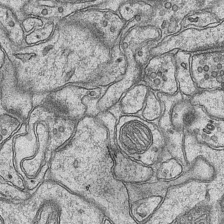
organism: Mouse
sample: CA1 Hippocampus